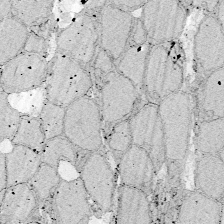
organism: Zebrafish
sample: Whole-Brain